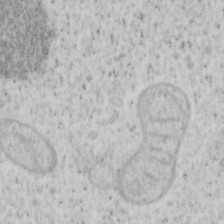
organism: Human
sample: HeLa cells